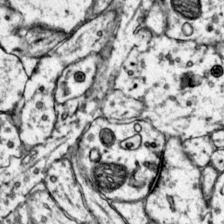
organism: Mouse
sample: Primary visual cortex